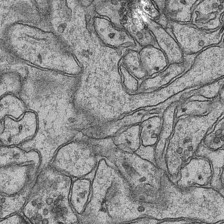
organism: Mouse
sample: CA1 Hippocampus